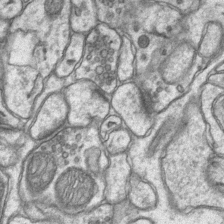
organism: Mouse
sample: CA1 Hippocampus